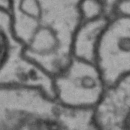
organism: Drosophila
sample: Brain